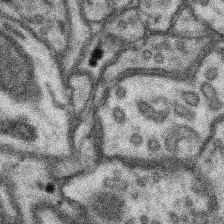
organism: Mouse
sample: Somatosensory cortex neuropil